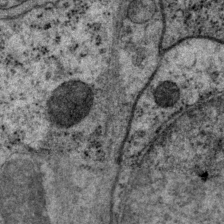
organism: P. pacificus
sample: Pharynx